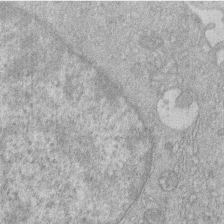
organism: Human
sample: Macrophage cells